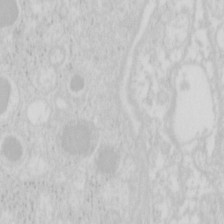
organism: Mouse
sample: Pancreas